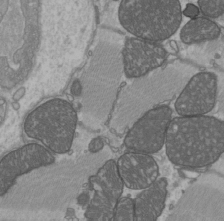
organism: C57BL Mouse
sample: Heart